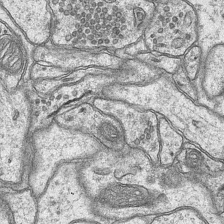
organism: Mouse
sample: CA1 Hippocampus